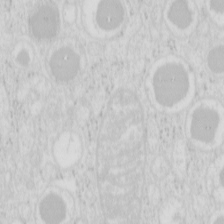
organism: Mouse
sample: Pancreas